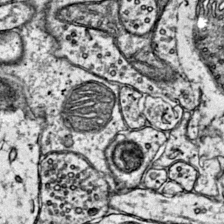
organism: Mouse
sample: Primary visual cortex